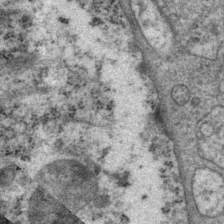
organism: P. pacificus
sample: Pharynx